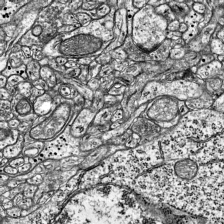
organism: Mouse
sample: Visual Cortex